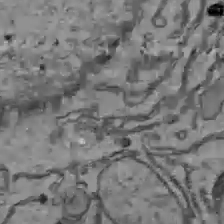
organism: C57BL Mouse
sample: Liver